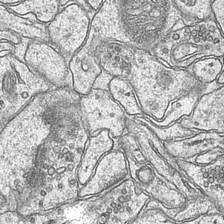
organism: Mouse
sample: CA1 Hippocampus